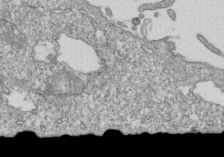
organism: Human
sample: HeLa cell HIV synapse